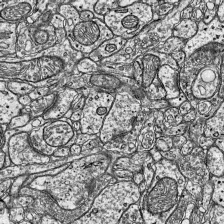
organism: Mouse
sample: Visual Cortex